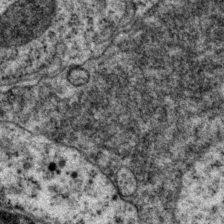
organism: P. pacificus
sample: Pharynx